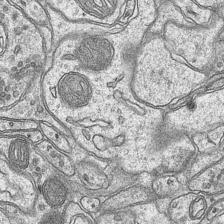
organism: Mouse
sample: CA1 Hippocampus